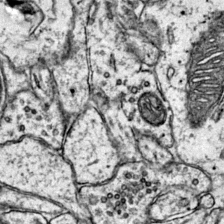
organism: Mouse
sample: Primary visual cortex